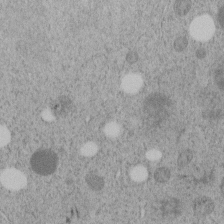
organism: C. elegans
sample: C. elegans embryo early stage